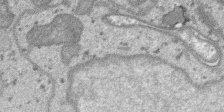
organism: Human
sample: Lung epithelial cells infected with SARS-CoV-2